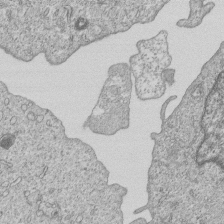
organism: Human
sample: MDA-MB-231 cells